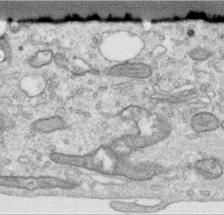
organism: Human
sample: Centriole in RPE cells